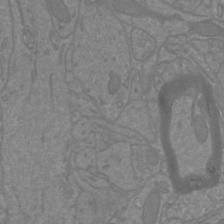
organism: Mouse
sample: Cortical neurons